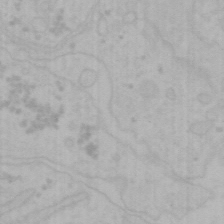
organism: Mouse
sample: Choroid plexus